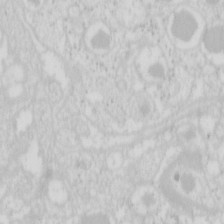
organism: Mouse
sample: Pancreas